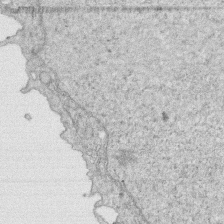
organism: Human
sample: HeLa cell HIV synapse